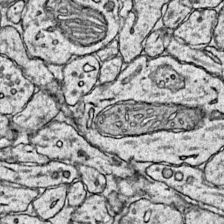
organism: Mouse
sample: Primary visual cortex